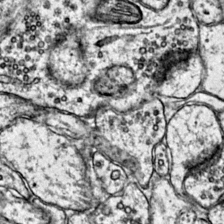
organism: Mouse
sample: Primary visual cortex